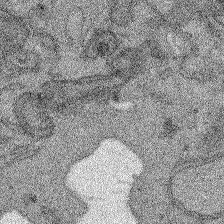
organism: Human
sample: HeLa cells